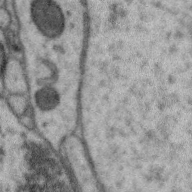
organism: Zebra finch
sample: Brain